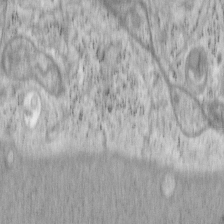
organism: Human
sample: HeLa cells